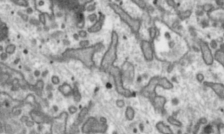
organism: Toxoplasma gondii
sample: Parasites in a vacuole inside a host cell